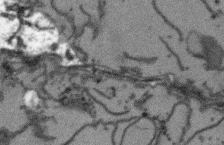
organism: Arabidopsis thaliana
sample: Root tip